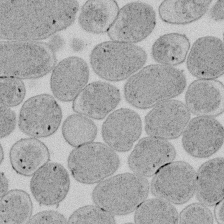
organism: E. coli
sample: Bacterial nucleoid